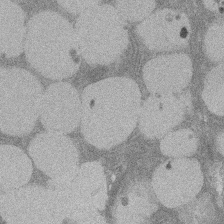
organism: Rat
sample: Salivary granule